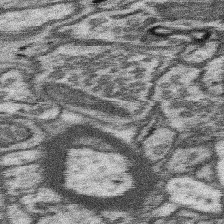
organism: Mouse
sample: Somatosensory cortex neuropil